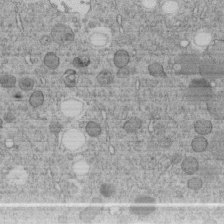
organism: C. elegans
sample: C. elegans embryo early stage